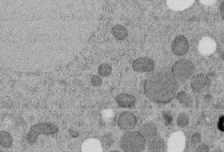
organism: C. elegans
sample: C. elegans embryo early stage